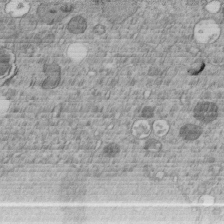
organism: C. elegans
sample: C. elegans embryo early stage